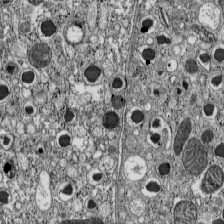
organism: C57BL Mouse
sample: Pancreatic islet